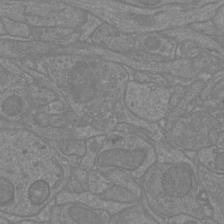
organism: Mouse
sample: Cortical neurons